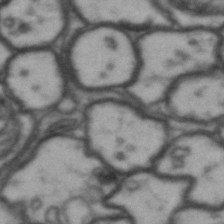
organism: Drosophila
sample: Brain